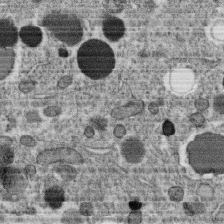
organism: C. elegans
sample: C. elegans oocyte; sperm cells